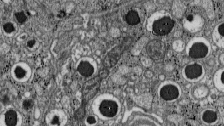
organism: C57BL Mouse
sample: Pancreatic islet